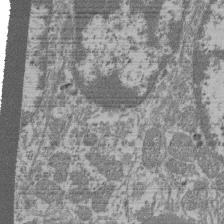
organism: Mouse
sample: Glomerulus